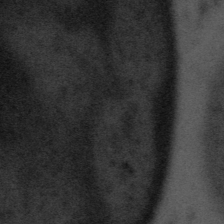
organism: Tuwongella immobilis